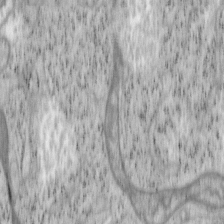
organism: Human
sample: HeLa cells